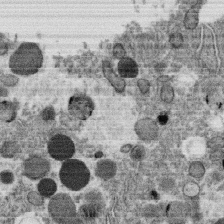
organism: C. elegans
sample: C. elegans oocyte; sperm cells